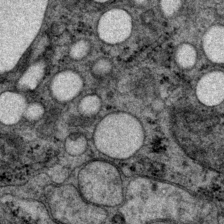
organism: P. pacificus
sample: Pharynx